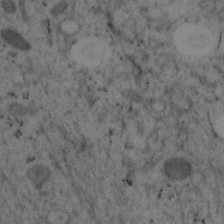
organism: Human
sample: HeLa cells